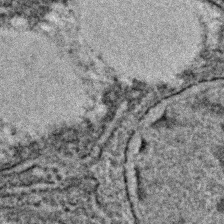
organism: C. elegans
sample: C. elegans embryo